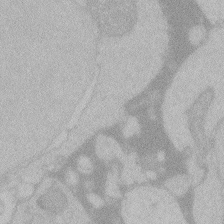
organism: Zebrafish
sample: Macrophage infected with Toxoplasma gondii